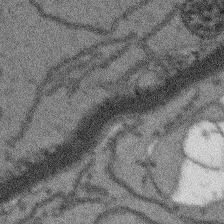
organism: Arabidopsis thaliana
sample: Root tip